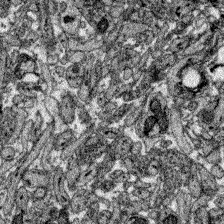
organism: Zebrafish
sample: Larval olfactory bulb